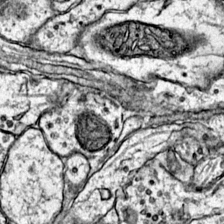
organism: Mouse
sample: Primary visual cortex